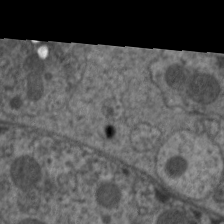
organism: C. elegans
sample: Pharynx